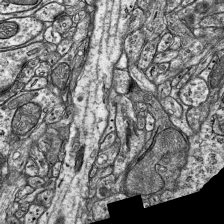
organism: Mouse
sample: Visual Cortex